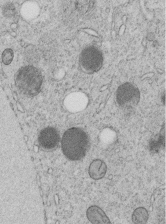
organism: C. elegans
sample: C. elegans embryo early stage